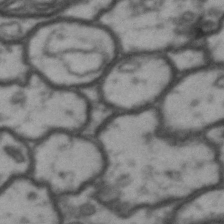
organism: Drosophila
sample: Brain